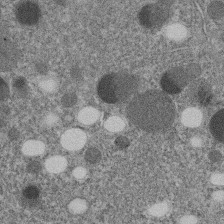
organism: C. elegans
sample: C. elegans embryo early stage